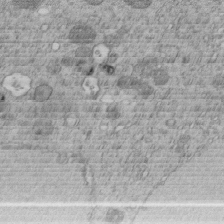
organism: C. elegans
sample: C. elegans embryo early stage